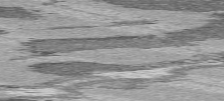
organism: C57BL Mouse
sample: Heart